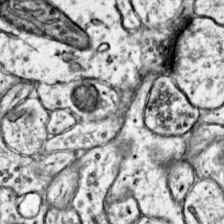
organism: Mouse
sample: Primary visual cortex